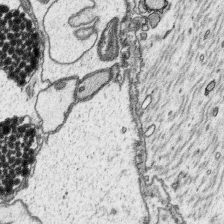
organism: Platynereis dumerilii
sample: Parapodia